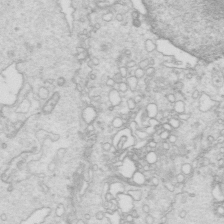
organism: Mouse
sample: Multiciliated cells